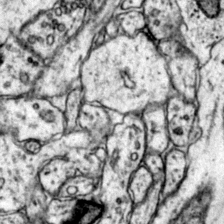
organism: Mouse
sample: Primary visual cortex